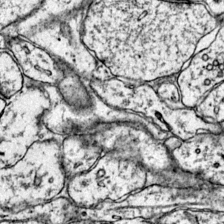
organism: Mouse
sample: Primary visual cortex